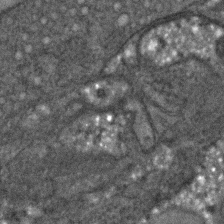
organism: C. elegans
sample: C. elegans embryo